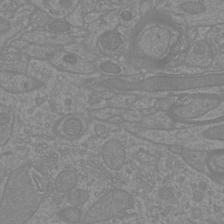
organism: Mouse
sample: Cortical neurons